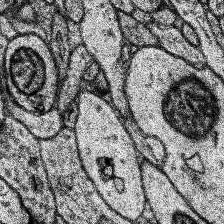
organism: Human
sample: Temporal Lobe